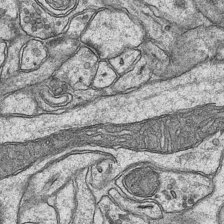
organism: Mouse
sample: CA1 Hippocampus